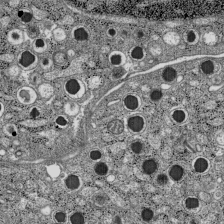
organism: C57BL Mouse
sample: Pancreatic islet